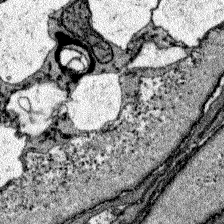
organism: Zebrafish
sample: Larval olfactory bulb